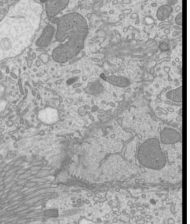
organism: Mouse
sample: Cilia; mouse epididymis